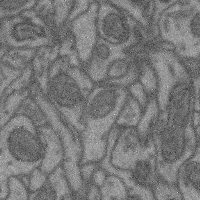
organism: Mouse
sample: Cerebral cortex